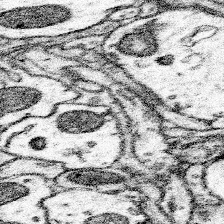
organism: Mouse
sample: Somatosensory cortex neuropil